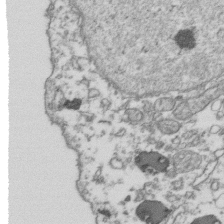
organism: Human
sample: Activated Jurkat CD4+ T cells